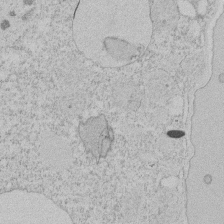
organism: Tetrahymena